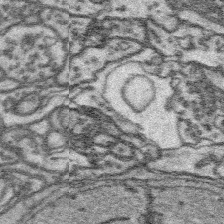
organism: Platynereis dumerilii